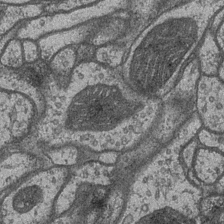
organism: Drosophila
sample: Optic medulla